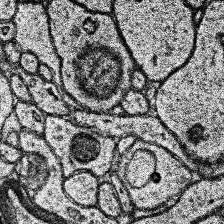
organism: Human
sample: Temporal Lobe